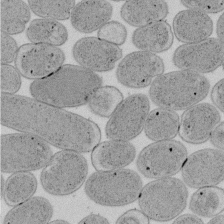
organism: E. coli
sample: Bacterial nucleoid